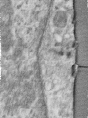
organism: Human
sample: Centriole in RPE cells